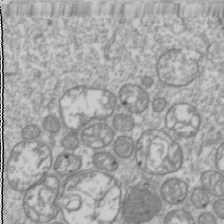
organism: Drosophila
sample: Cell division; meiosis; drosophila spermatocytes